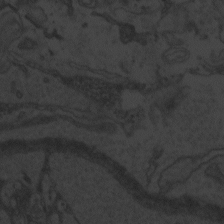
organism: Zebrafish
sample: Macrophage infected with Toxoplasma gondii